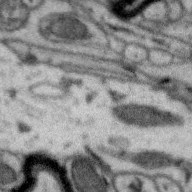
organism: Zebra finch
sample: Brain